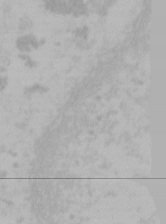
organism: Mouse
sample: Choroid plexus